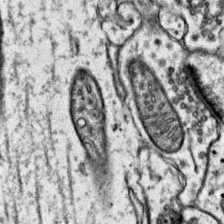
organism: Mouse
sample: Primary visual cortex